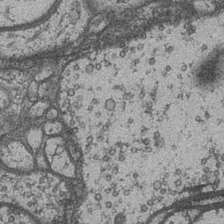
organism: Drosophila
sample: Optic medulla